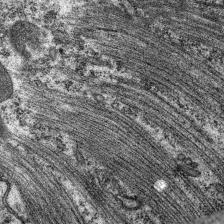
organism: C. elegans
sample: Pharynx